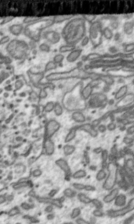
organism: Toxoplasma gondii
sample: Parasites in a vacuole inside a host cell